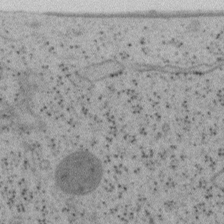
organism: Human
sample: HeLa cells